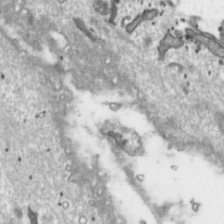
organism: Toxoplasma gondii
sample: Parasites in a vacuole inside a host cell